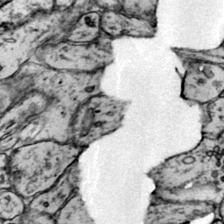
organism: Mouse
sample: Primary visual cortex